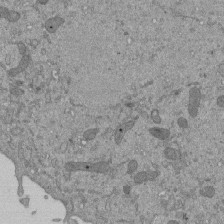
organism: Mouse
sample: ED-1 cell nuclei; centrioles